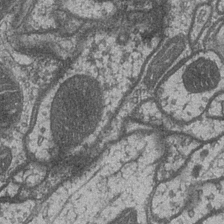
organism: Drosophila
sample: Optic medulla